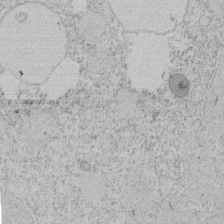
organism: Tetrahymena